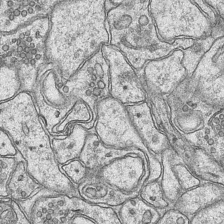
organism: Mouse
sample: CA1 Hippocampus